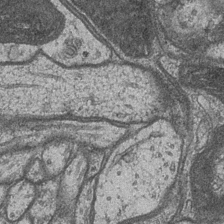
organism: Drosophila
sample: Optic medulla